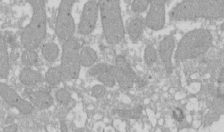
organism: Xenopus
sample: Cilia; centrioles in frog embryo cells